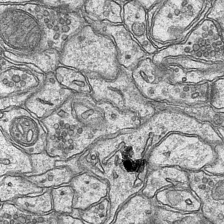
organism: Mouse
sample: CA1 Hippocampus